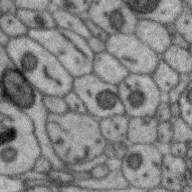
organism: Zebra finch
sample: Brain